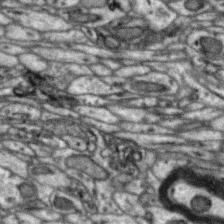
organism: Zebra finch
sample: Brain